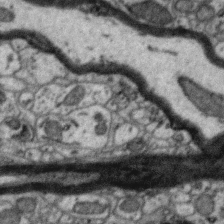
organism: Zebra finch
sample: Brain